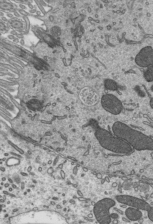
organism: Mouse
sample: Mouse epididymis efferent ductule cilia